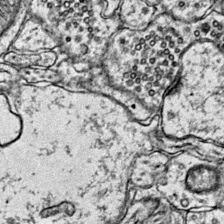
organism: Mouse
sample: Primary visual cortex